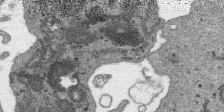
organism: Human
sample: Lung epithelial cells infected with SARS-CoV-2